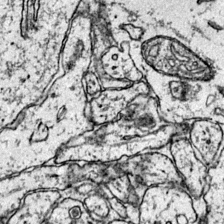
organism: Mouse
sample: Primary visual cortex